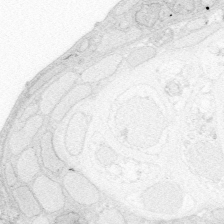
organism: Zebrafish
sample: Whole-Brain